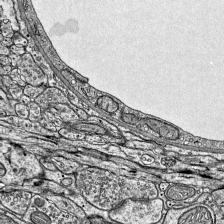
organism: Mouse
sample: Visual Cortex